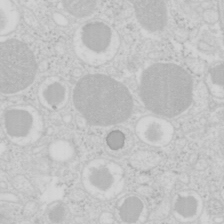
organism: Mouse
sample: Pancreas